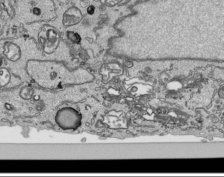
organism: Human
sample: Mitochondria in HCT116 cells